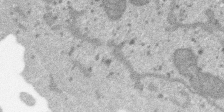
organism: Human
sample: Lung epithelial cells infected with SARS-CoV-2